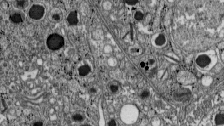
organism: C57BL Mouse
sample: Pancreatic islet